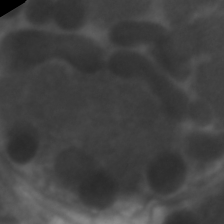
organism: C. elegans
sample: Pharynx